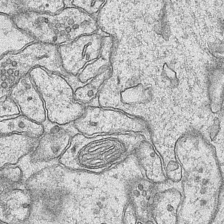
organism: Mouse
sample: CA1 Hippocampus